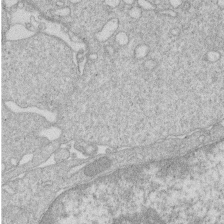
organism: Human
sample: Macrophage cells